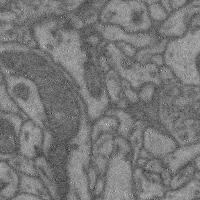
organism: Mouse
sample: Cerebral cortex